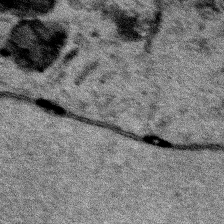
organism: Human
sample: Mitochondria in HCT116 cells